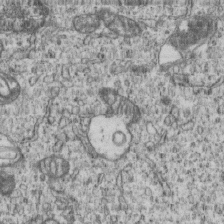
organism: Human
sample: MDA-MB-231 cells